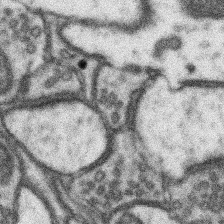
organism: Mouse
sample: Somatosensory cortex neuropil